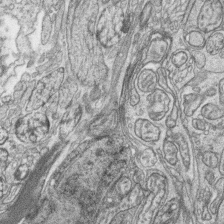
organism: Zebrafish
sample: synaptic ribbons in rod cells and cone cells